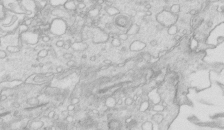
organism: Mouse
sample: Multiciliated cells